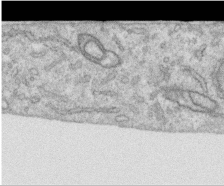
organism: Human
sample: Centriole in RPE cells